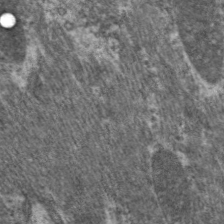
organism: C. elegans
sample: Pharynx